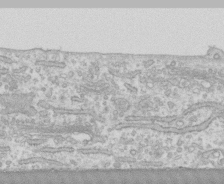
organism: Human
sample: CRL-1474